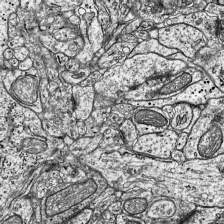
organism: Mouse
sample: Visual Cortex